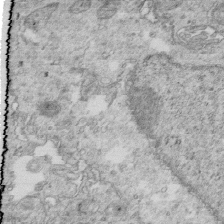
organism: Mouse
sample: Multiciliated cells